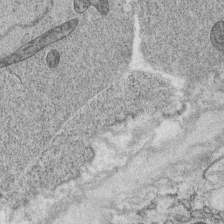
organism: C. elegans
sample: C. elegans oocyte; sperm cells